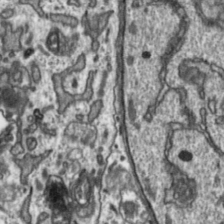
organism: Toxoplasma gondii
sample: Parasites in a vacuole inside a host cell